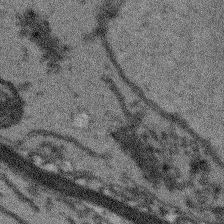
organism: Arabidopsis thaliana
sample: Root tip